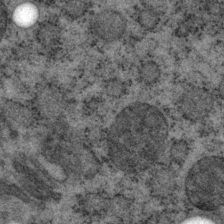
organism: P. pacificus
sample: Pharynx